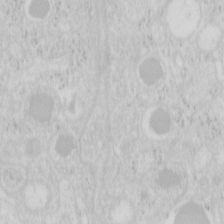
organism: Mouse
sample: Pancreas